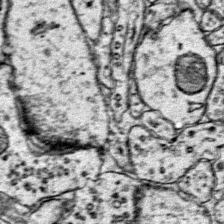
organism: Mouse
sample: Primary visual cortex